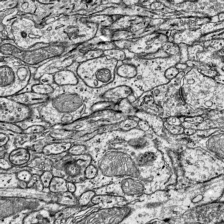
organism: Mouse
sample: Visual Cortex